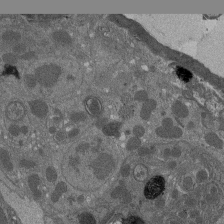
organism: Drosophila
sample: Antenna